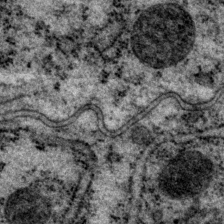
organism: P. pacificus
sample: Pharynx